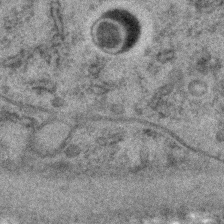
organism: C. elegans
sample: C. elegans embryo